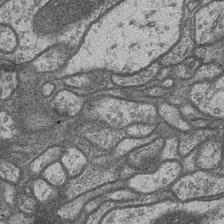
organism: Drosophila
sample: Optic medulla